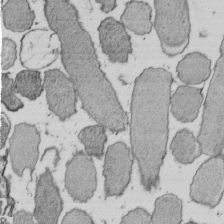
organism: E. coli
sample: Bacterial nucleoid